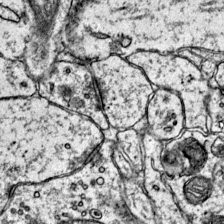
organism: Mouse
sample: Primary visual cortex